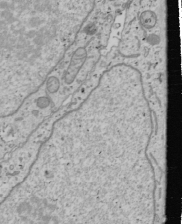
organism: Human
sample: Mitochondria in U2OS cells